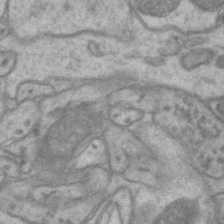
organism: Mouse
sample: CA1 Hippocampus